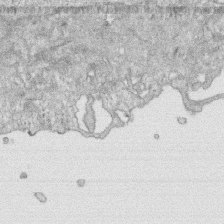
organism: Human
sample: HeLa cell HIV synapse